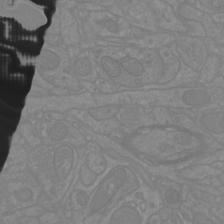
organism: Mouse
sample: Cortical neurons